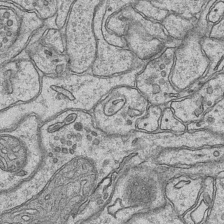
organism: Mouse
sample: CA1 Hippocampus